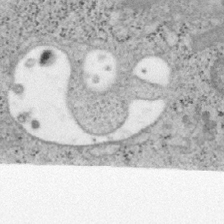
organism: Mouse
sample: OT-I killer T cells with ID8 ovarian cancer cells